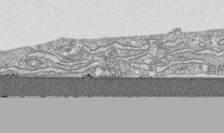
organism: Human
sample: CRL-1474